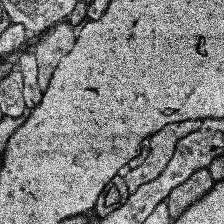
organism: Human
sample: Temporal Lobe